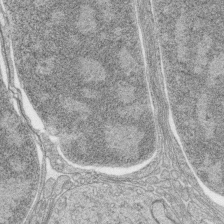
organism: Zebrafish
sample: synaptic ribbons in rod cells and cone cells